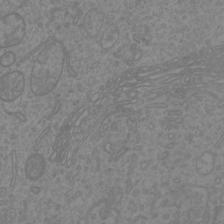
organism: Mouse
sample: Cortical neurons